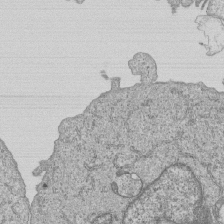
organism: Human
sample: MDA-MB-231 cells